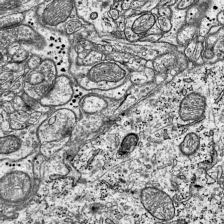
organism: Mouse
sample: Visual Cortex